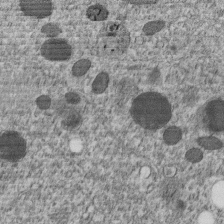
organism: C. elegans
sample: C. elegans embryo early stage